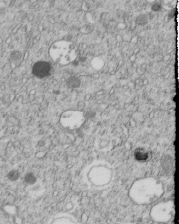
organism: C. elegans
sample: C. elegans embryo early stage